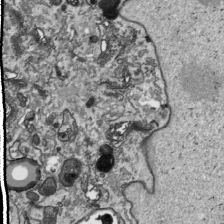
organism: Human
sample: Mitochondria in HCT116 cells